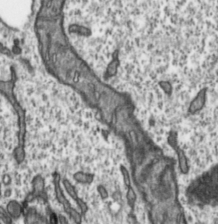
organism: Toxoplasma gondii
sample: Parasites in a vacuole inside a host cell